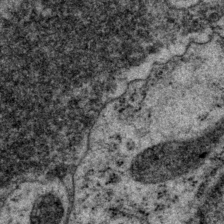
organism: P. pacificus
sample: Pharynx